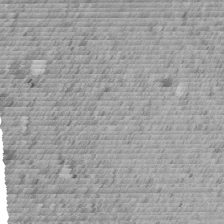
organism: C. elegans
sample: C. elegans embryo early stage